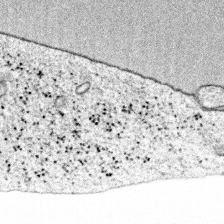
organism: Human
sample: HeLa cells